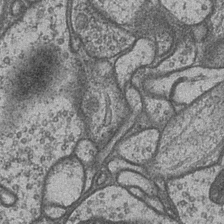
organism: Drosophila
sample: Optic medulla